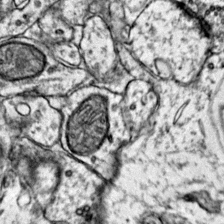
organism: Mouse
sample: Primary visual cortex